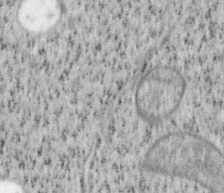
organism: Mouse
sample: OT-I killer T cells with ID8 ovarian cancer cells